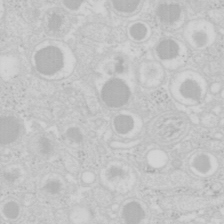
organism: Mouse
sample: Pancreas